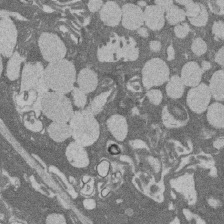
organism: Rat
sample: Salivary granule